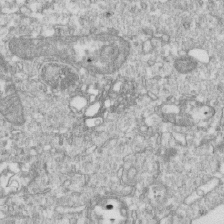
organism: Mouse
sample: Activated OT-1 CD8+ T cells